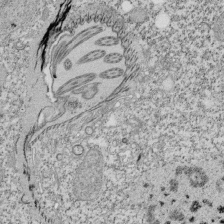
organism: Tetrahymena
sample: Cilia in tetrahymena